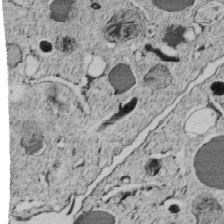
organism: C. elegans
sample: C. elegans embryo early stage